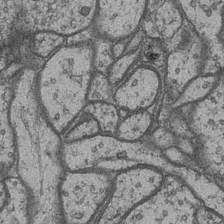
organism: Drosophila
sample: Optic medulla